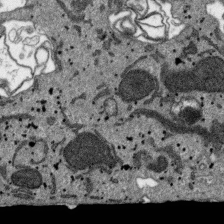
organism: Human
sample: Lung epithelial cells, uninfected (mock) control